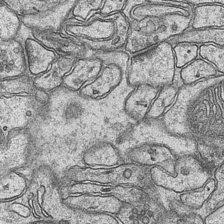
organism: Mouse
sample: CA1 Hippocampus